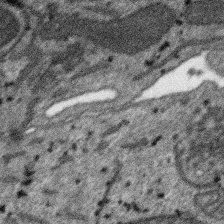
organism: Human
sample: Lung epithelial cells infected with SARS-CoV-2